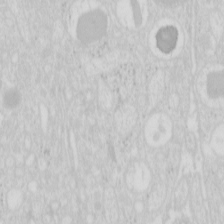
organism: Mouse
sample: Pancreas